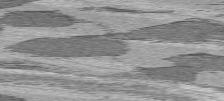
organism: C57BL Mouse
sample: Heart